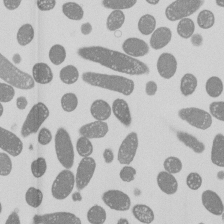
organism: E. coli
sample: Bacterial nucleoid